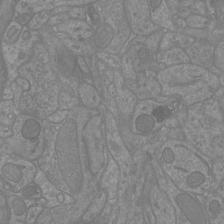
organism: Mouse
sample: Cortical neurons